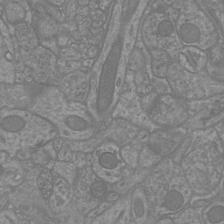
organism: Mouse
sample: Cortical neurons